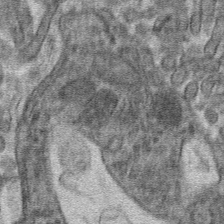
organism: Mouse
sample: Mouse hepatocytes